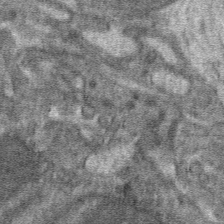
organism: Mouse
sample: Mouse hepatocytes